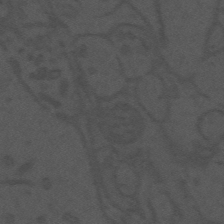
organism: Mouse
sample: Suprachiasmatic nucleus